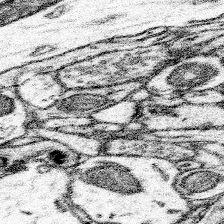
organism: Mouse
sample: Somatosensory cortex neuropil